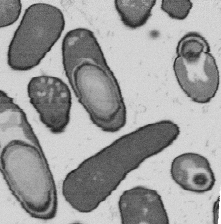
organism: B. subtilis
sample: Bacterial spore